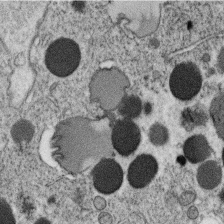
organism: C. elegans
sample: C. elegans oocyte; sperm cells